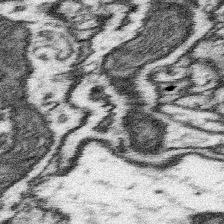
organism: Mouse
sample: Somatosensory cortex neuropil